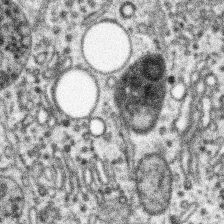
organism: Human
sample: HeLa cells